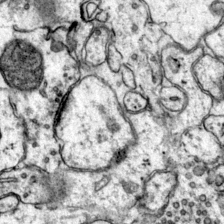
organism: Mouse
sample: Primary visual cortex